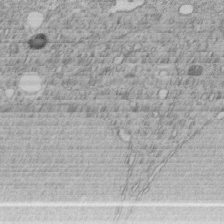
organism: C. elegans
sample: C. elegans embryo early stage